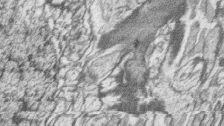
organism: Zebrafish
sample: synaptic ribbons in rod cells and cone cells